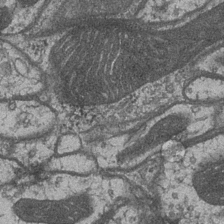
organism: Drosophila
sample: Optic medulla